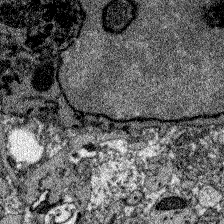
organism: Zebrafish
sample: Larval olfactory bulb